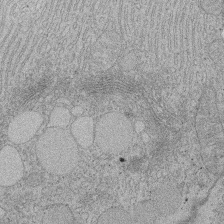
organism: Rat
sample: Salivary granule